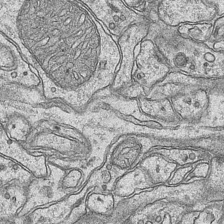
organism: Mouse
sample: CA1 Hippocampus